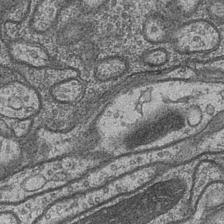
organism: Drosophila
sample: Optic medulla